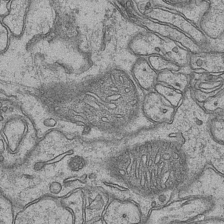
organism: Mouse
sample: CA1 Hippocampus